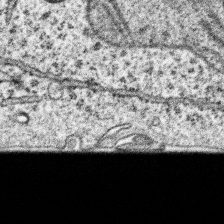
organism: Human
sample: HeLa cells